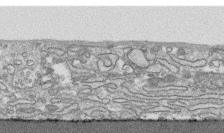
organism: Human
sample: CRL-1474